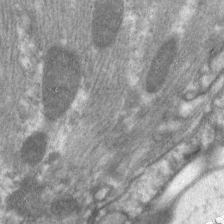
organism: C. elegans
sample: Pharynx